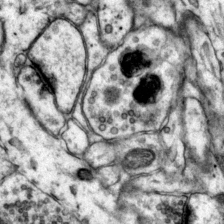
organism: Mouse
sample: Primary visual cortex